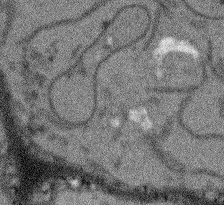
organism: Arabidopsis thaliana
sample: Root tip